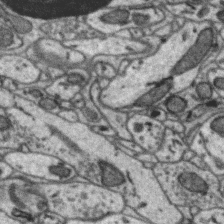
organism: Zebra finch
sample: Brain